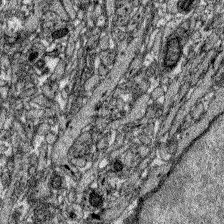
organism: Zebrafish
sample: Larval olfactory bulb